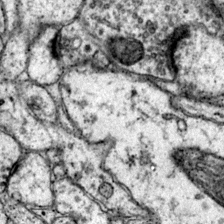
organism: Mouse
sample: Primary visual cortex